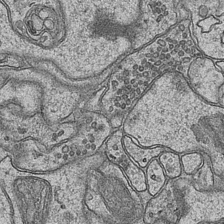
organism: Mouse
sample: CA1 Hippocampus